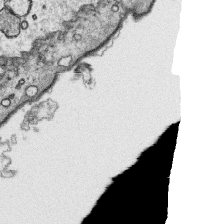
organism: Platynereis dumerilii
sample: Parapodia